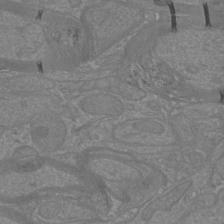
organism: Mouse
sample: Cortical neurons